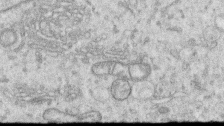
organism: Human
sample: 1205lu cells